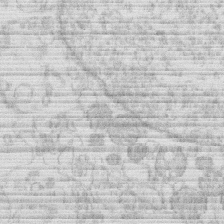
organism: Human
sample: Macrophage cells